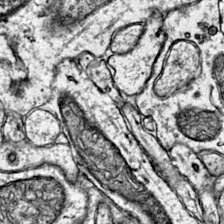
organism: Mouse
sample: Primary visual cortex